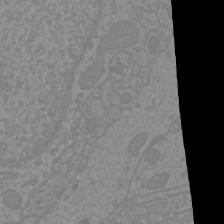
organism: Mouse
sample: Cortical neurons